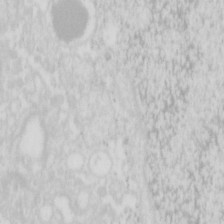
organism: Mouse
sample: Pancreas